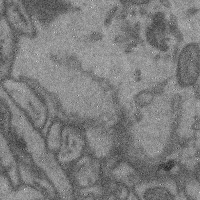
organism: Mouse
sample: Cerebral cortex